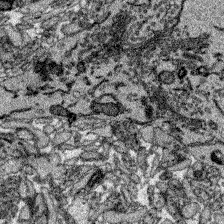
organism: Zebrafish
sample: Larval olfactory bulb